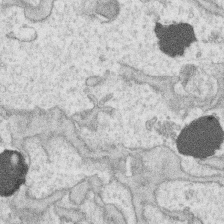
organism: Human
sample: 1205lu cells